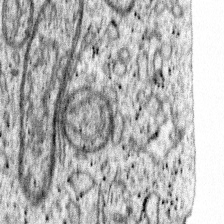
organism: Human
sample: HeLa cells